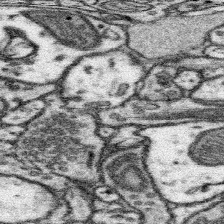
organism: Mouse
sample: Somatosensory cortex neuropil